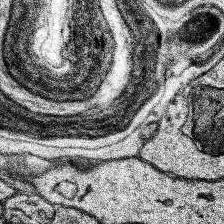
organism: Human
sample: Temporal Lobe